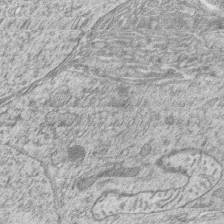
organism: Zebrafish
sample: synaptic ribbons in rod cells and cone cells